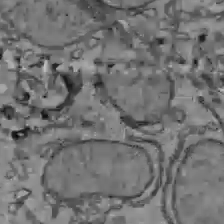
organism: C57BL Mouse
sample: Liver